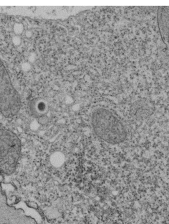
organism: Tetrahymena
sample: Cilia in tetrahymena